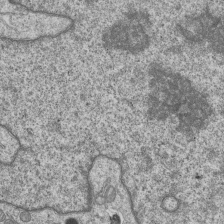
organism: Human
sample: MDA-MB-231 cells